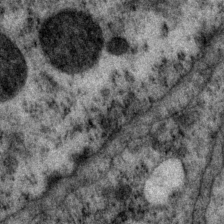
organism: P. pacificus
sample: Pharynx